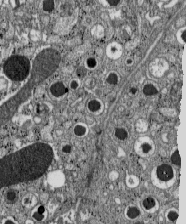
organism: C57BL Mouse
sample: Pancreatic islet